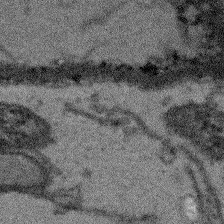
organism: Arabidopsis thaliana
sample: Root tip